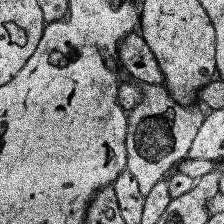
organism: Human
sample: Temporal Lobe